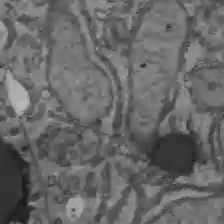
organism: C57BL Mouse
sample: Liver